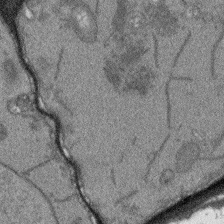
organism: Arabidopsis thaliana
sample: Root tip